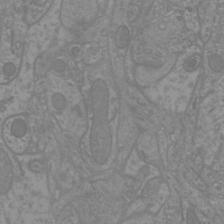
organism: Mouse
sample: Cortical neurons